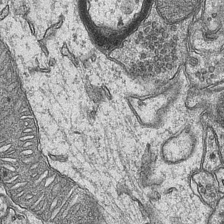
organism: Mouse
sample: CA1 Hippocampus